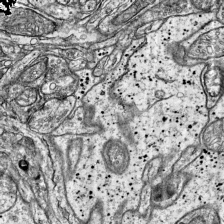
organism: Mouse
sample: Visual Cortex